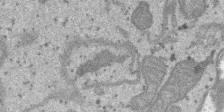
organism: Human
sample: Lung epithelial cells infected with SARS-CoV-2